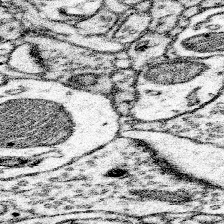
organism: Mouse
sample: Somatosensory cortex neuropil